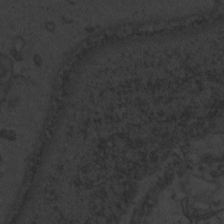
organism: Zebrafish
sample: Macrophage infected with Toxoplasma gondii